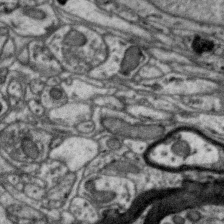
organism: Zebra finch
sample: Brain